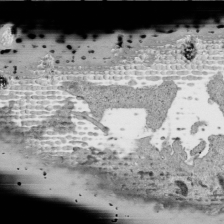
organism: Human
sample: Mitochondria in HCT116 cells